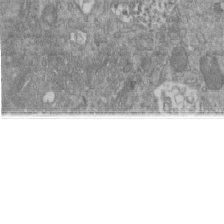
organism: Mouse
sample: ED-1 cell nuclei; centrioles